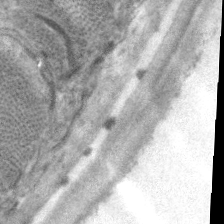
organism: C. elegans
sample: Pharynx